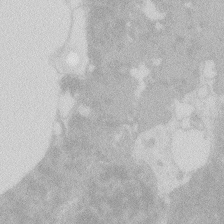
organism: Zebrafish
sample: Macrophage